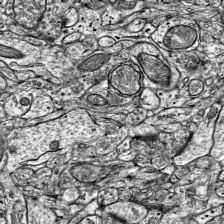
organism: Mouse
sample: Visual Cortex